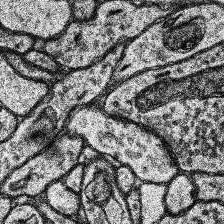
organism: Human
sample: Temporal Lobe